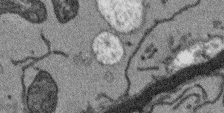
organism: Arabidopsis thaliana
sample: Root tip